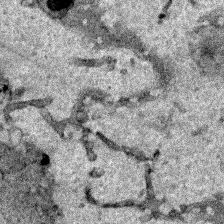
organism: Human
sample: Mitochondria in HCT116 cells